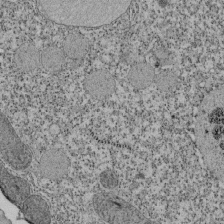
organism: Tetrahymena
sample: Cilia in tetrahymena